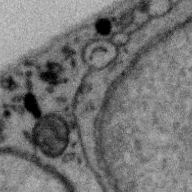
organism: Zebra finch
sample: Brain